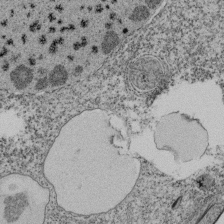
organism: Tetrahymena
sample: Cilia in tetrahymena